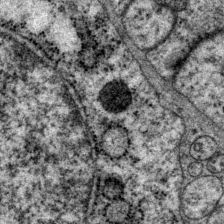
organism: P. pacificus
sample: Pharynx